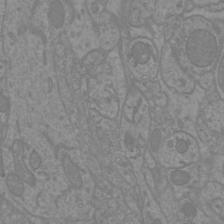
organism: Mouse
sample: Cortical neurons